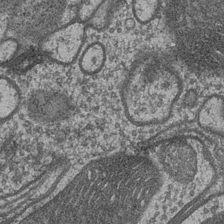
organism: Drosophila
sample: Optic medulla